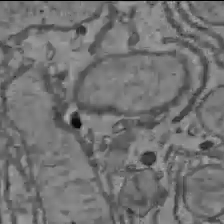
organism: C57BL Mouse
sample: Liver